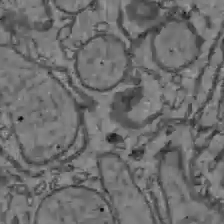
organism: C57BL Mouse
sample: Liver